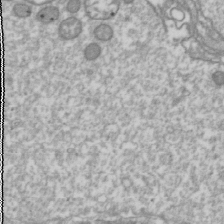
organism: Drosophila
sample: Cell division; meiosis; drosophila spermatocytes